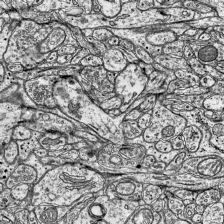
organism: Mouse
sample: Visual Cortex